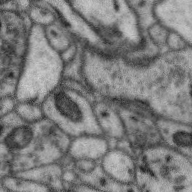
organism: Zebra finch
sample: Brain